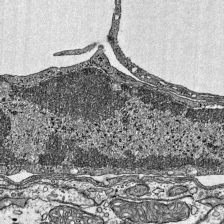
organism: Mouse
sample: Visual Cortex